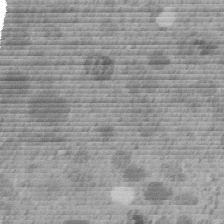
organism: C. elegans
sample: C. elegans embryo early stage